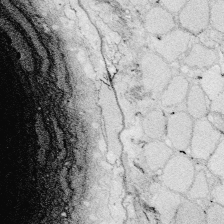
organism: Zebrafish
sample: Whole-Brain